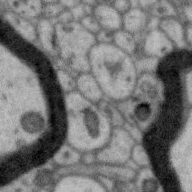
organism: Zebra finch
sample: Brain